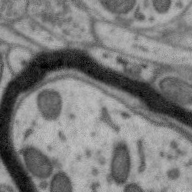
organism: Zebra finch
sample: Brain